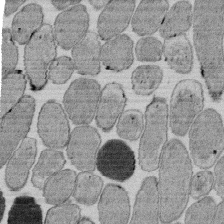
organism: E. coli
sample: Bacterial nucleoid